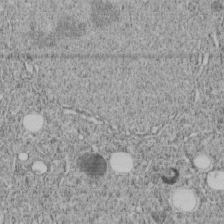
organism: C. elegans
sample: C. elegans embryo early stage